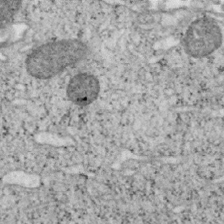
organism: Mouse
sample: OT-I killer T cells with ID8 ovarian cancer cells